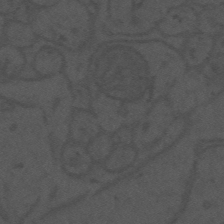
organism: Mouse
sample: Suprachiasmatic nucleus